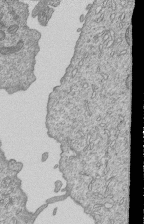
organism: Human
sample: MDA-MB-231 cells